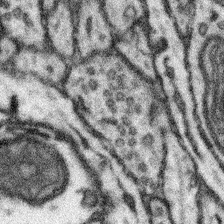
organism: Mouse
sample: Somatosensory cortex neuropil